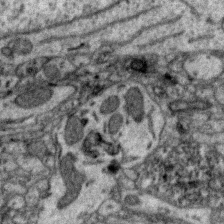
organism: Zebra finch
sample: Brain